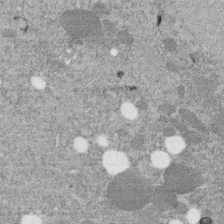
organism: C. elegans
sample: C. elegans embryo early stage